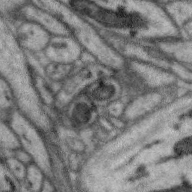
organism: Zebra finch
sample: Brain